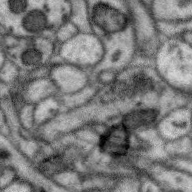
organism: Zebra finch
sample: Brain